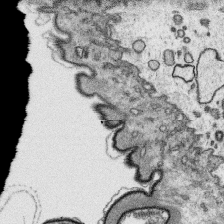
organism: Platynereis dumerilii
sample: Parapodia